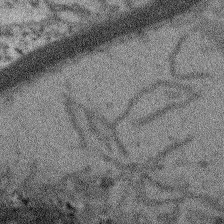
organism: Arabidopsis thaliana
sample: Root tip